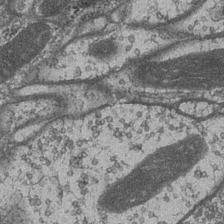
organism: Drosophila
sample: Optic medulla